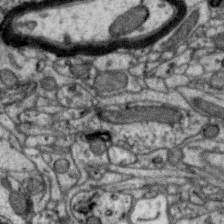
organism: Zebra finch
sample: Brain